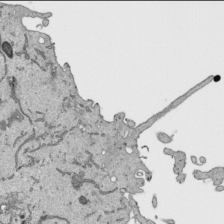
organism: Human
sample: Mitochondria in HCT116 cells